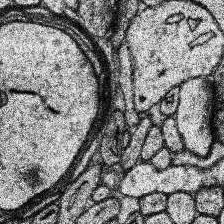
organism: Human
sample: Temporal Lobe